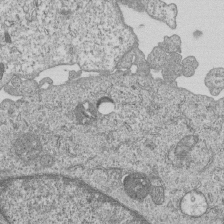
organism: Human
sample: MDA-MB-231 cells